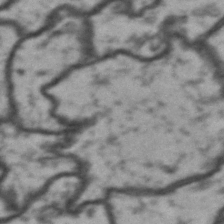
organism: Drosophila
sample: Brain